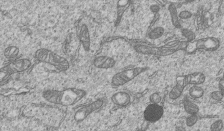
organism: Human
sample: MDA-MB-231 cells